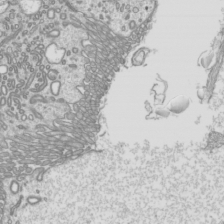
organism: Mouse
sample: Cilia; mouse epididymis